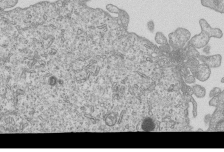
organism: Human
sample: MDA-MB-231 cells